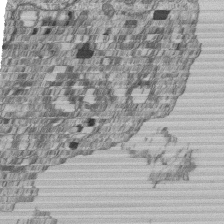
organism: Human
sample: MDA-MB-231 cells